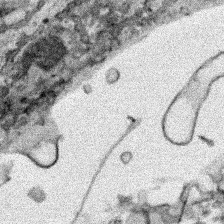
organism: Human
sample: Mitochondria in HCT116 cells